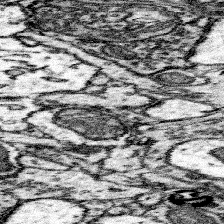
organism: Mouse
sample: Somatosensory cortex neuropil